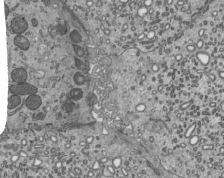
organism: Mouse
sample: Mouse epididymis efferent ductule cilia